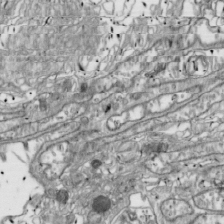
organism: Drosophila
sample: Cell division; meiosis; drosophila spermatocytes